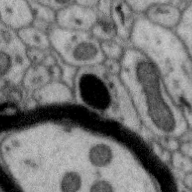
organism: Zebra finch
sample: Brain